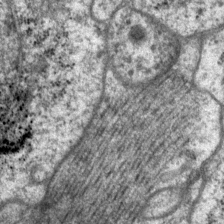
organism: P. pacificus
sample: Pharynx